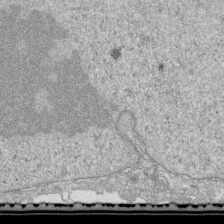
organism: Human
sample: HeLa cell HIV synapse